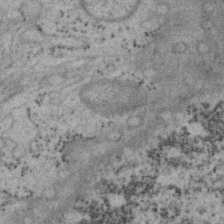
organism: Human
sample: HeLa cells